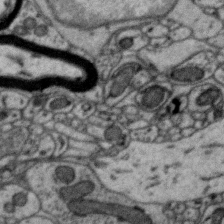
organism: Zebra finch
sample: Brain